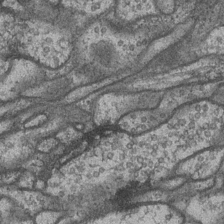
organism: Drosophila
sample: Optic medulla